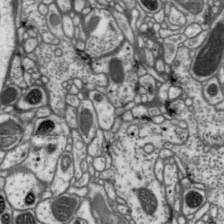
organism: Drosophila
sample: Protocerebral bridge